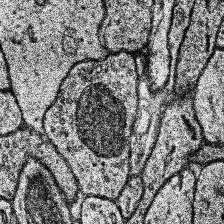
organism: Human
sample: Temporal Lobe